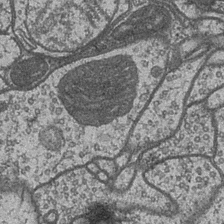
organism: Drosophila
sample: Optic medulla